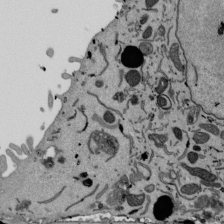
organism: Mouse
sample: ED-1 cell nuclei; centrioles